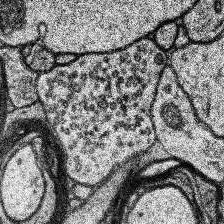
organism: Human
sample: Temporal Lobe